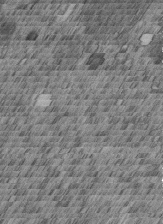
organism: C. elegans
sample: C. elegans embryo early stage